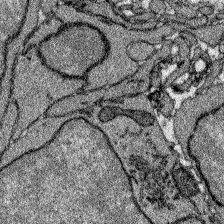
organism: Zebrafish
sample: Larval olfactory bulb